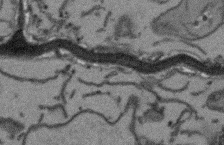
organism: Arabidopsis thaliana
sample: Root tip